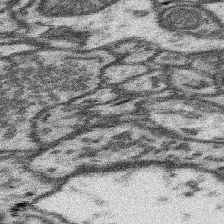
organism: Mouse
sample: Somatosensory cortex neuropil